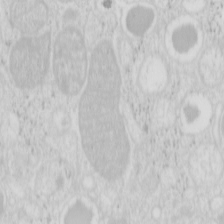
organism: Mouse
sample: Pancreas